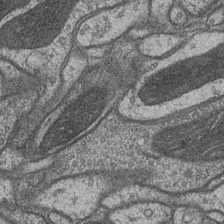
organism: Drosophila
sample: Optic medulla